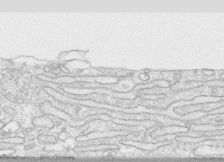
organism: Human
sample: CRL-1474